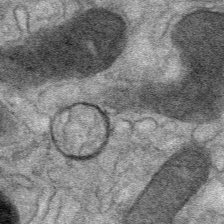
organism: Mouse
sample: Mouse Salivary gland